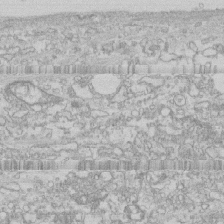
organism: Human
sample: CRL-1474